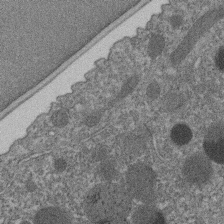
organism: C. elegans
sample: C. elegans embryo early stage